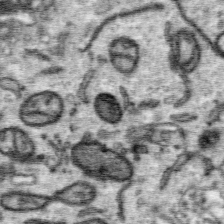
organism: Human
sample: HeLa cells